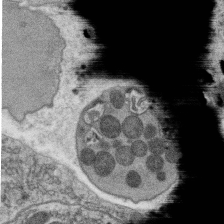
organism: C. elegans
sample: C. elegans oocyte; sperm cells